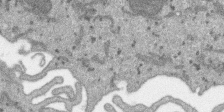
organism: Human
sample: Lung epithelial cells infected with SARS-CoV-2